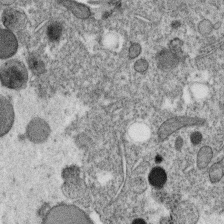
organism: C. elegans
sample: C. elegans oocyte; sperm cells